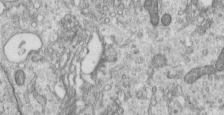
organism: Human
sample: Centriole in RPE cells